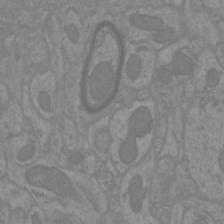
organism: Mouse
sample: Cortical neurons